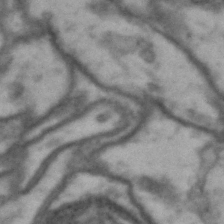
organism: Drosophila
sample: Brain